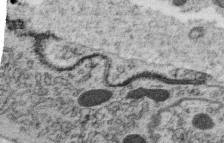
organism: C. elegans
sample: C. elegans oocyte; sperm cells